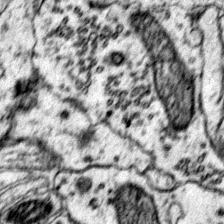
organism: Mouse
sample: Primary visual cortex